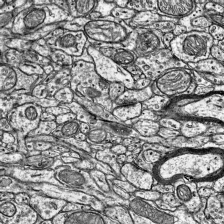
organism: Mouse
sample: Visual Cortex